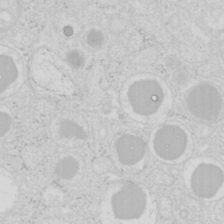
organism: Mouse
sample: Pancreas